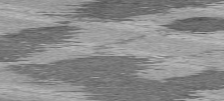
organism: C57BL Mouse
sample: Heart